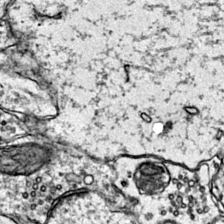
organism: Mouse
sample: Primary visual cortex